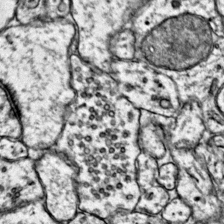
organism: Mouse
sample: Primary visual cortex